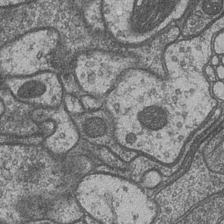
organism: Drosophila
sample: Optic medulla